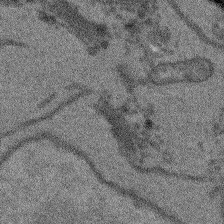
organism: Arabidopsis thaliana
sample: Root tip